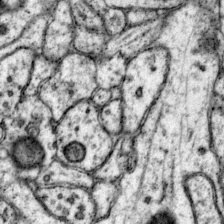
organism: Mouse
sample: Primary visual cortex